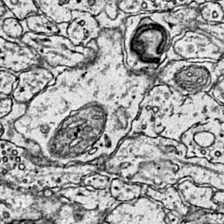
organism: Mouse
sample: Primary visual cortex